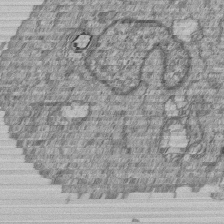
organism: Human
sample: MDA-MB-231 cells